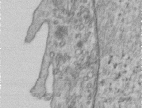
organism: Human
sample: Centriole in RPE cells